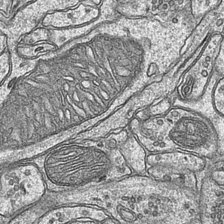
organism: Mouse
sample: CA1 Hippocampus